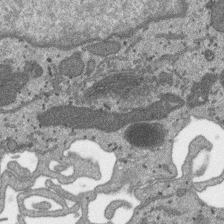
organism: Human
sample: Lung epithelial cells infected with SARS-CoV-2